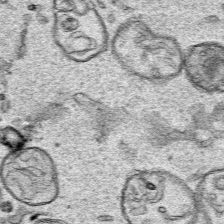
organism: Human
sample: Mitochondria in HCT116 cells